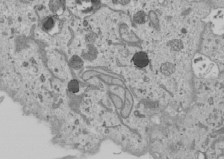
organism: Human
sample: Mitochondria in U2OS cells